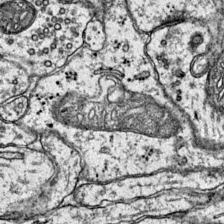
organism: Mouse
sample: Primary visual cortex